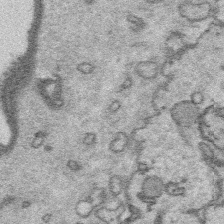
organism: Platynereis dumerilii